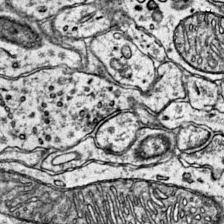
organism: Mouse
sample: Primary visual cortex